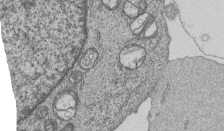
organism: Human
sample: MDA-MB-231 cells